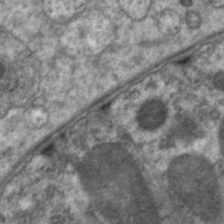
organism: C. elegans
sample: Pharynx